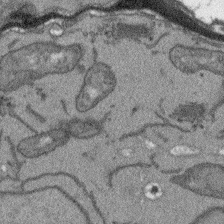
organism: Arabidopsis thaliana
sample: Root tip